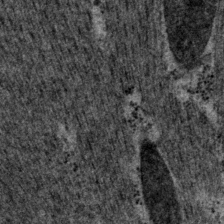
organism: P. pacificus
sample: Pharynx